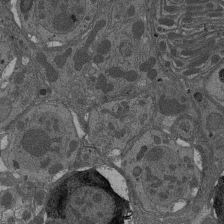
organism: Drosophila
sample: Antenna